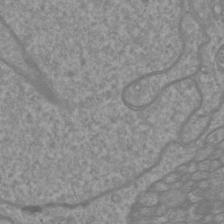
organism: Mouse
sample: Cortical neurons